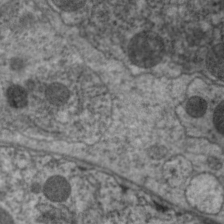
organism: C. elegans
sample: Pharynx